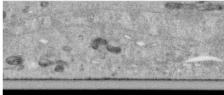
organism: Human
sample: Centriole in RPE cells